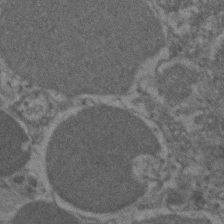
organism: Zebrafish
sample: Zebrafish embryo